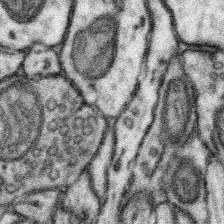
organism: Mouse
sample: Somatosensory cortex neuropil